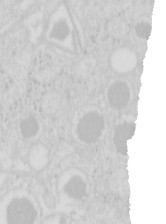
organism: Mouse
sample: Pancreas